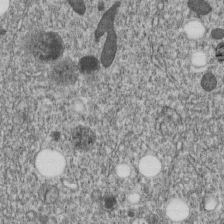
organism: C. elegans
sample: C. elegans embryo early stage